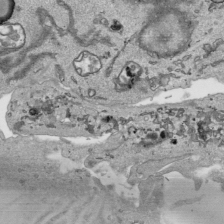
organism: Human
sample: Mitochondria in HCT116 cells